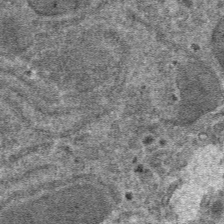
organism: Mouse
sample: Mouse hepatocytes